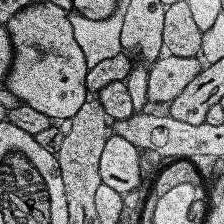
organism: Human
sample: Temporal Lobe